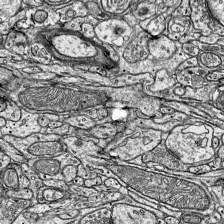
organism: Mouse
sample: Visual Cortex